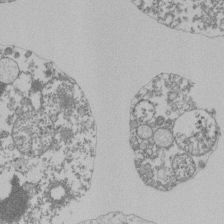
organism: Mouse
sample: Activated Pmel transgenic CD8+ T Cells